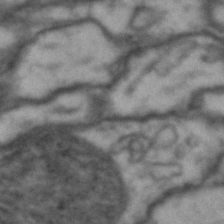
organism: Drosophila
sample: Brain